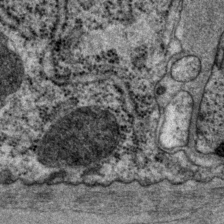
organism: P. pacificus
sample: Pharynx